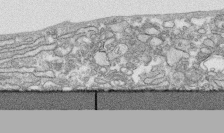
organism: Human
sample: CRL-1474